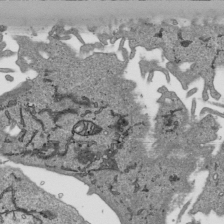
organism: Human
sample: Mitochondria in HCT116 cells